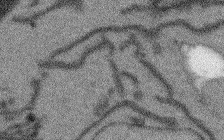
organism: Arabidopsis thaliana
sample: Root tip